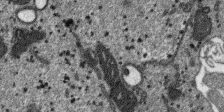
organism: Human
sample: Lung epithelial cells infected with SARS-CoV-2